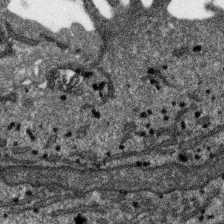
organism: Human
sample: Lung epithelial cells infected with SARS-CoV-2